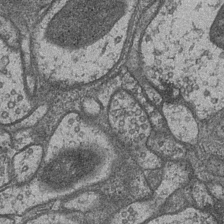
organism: Drosophila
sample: Optic medulla